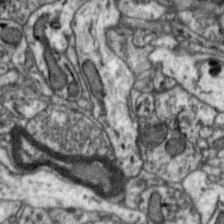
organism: Zebra finch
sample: Brain